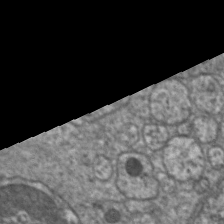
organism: C. elegans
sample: Pharynx